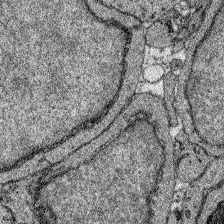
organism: Zebrafish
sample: Larval olfactory bulb